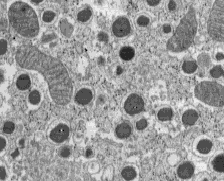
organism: C57BL Mouse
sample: Pancreatic islet